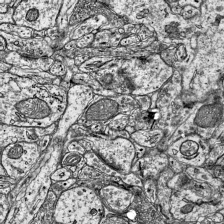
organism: Mouse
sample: Visual Cortex